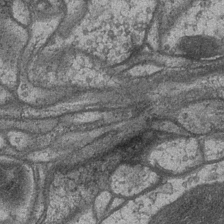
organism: Drosophila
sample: Optic medulla